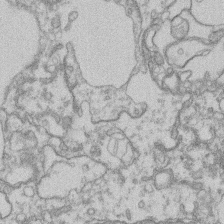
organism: Mouse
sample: T cell stromal cell synapse